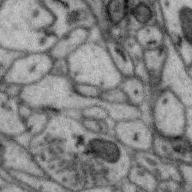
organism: Zebra finch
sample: Brain